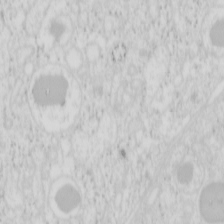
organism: Mouse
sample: Pancreas